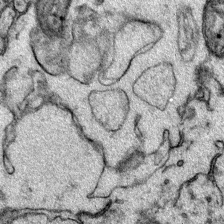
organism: Mouse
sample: Primary visual cortex